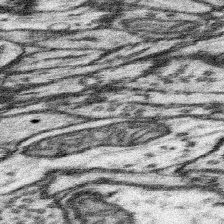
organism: Mouse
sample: Somatosensory cortex neuropil